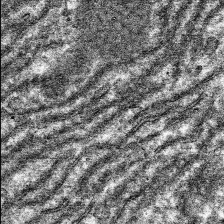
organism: Mouse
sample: Mouse hepatocytes